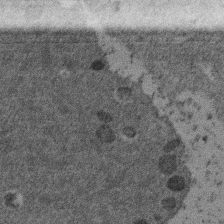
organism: Mouse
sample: Dividing mouse embryo 1 cell stage